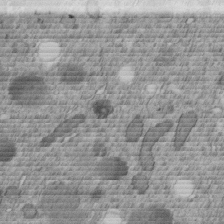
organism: C. elegans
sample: C. elegans embryo early stage